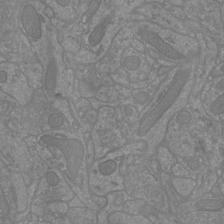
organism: Mouse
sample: Cortical neurons